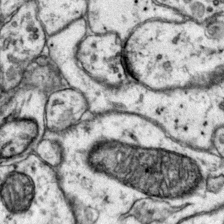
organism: Mouse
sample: Primary visual cortex